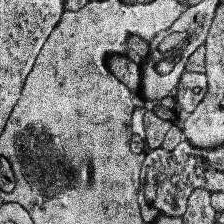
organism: Human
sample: Temporal Lobe